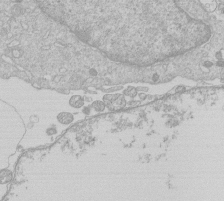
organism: Human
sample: Macrophage cells